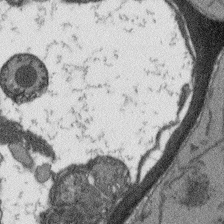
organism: Arabidopsis thaliana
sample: Root tip